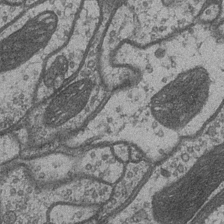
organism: Drosophila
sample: Optic medulla